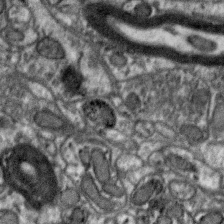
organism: Zebra finch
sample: Brain